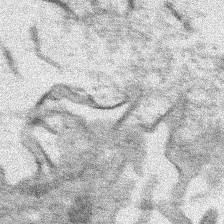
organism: Human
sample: Mitochondria in HCT116 cells